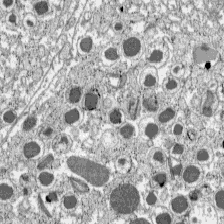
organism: C57BL Mouse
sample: Pancreatic islet